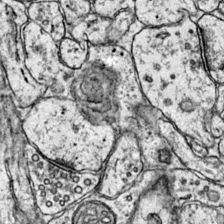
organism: Mouse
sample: Primary visual cortex